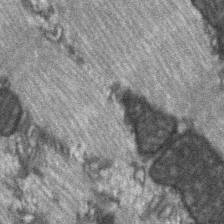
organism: C57BL Mouse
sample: Soleus